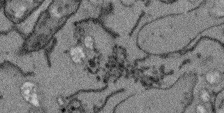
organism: Arabidopsis thaliana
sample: Root tip